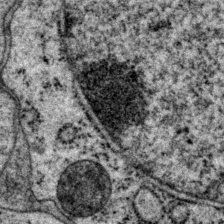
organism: P. pacificus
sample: Pharynx